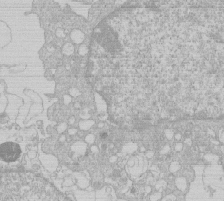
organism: Human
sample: Macrophage cells